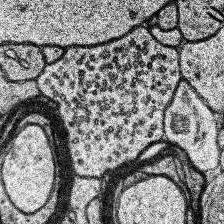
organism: Human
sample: Temporal Lobe